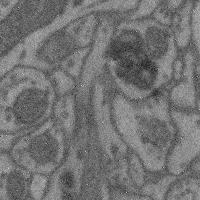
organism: Mouse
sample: Cerebral cortex